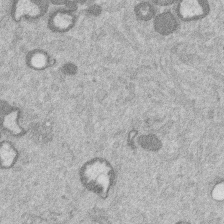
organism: Mouse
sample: Dividing mouse embryo 1 cell stage